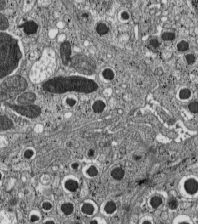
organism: C57BL Mouse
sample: Pancreatic islet